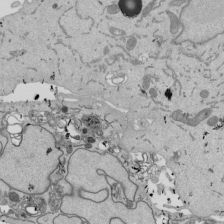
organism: Mouse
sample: ED-1 cell nuclei; centrioles